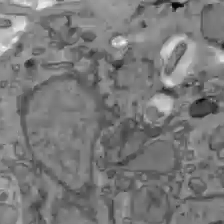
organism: C57BL Mouse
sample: Liver